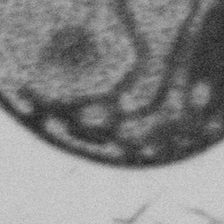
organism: Gemmata obscuriglobus